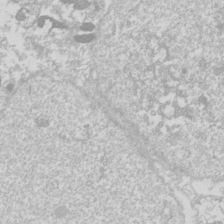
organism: Drosophila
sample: Cell division; meiosis; drosophila spermatocytes